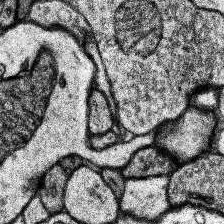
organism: Human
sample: Temporal Lobe